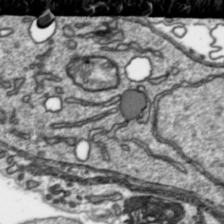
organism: Toxoplasma gondii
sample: Parasites in a vacuole inside a host cell